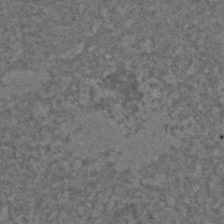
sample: Trachea